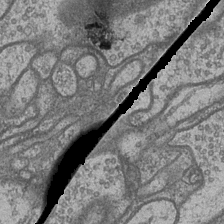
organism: Drosophila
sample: Optic medulla